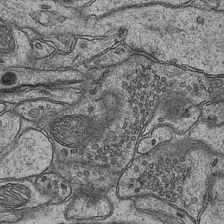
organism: Mouse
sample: CA1 Hippocampus